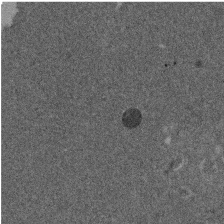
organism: Mouse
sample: Dividing mouse embryo 1 cell stage